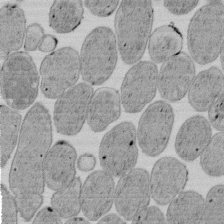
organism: E. coli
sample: Bacterial nucleoid